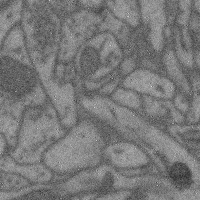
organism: Mouse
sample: Cerebral cortex